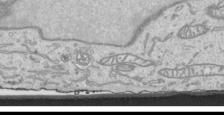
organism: Human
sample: Mitochondria in HCT116 cells